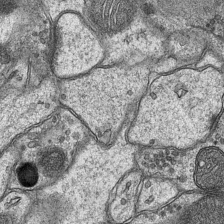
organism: Mouse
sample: CA1 Hippocampus